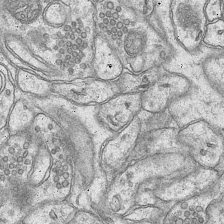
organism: Mouse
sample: CA1 Hippocampus